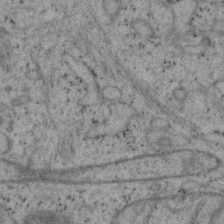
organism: Human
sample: HeLa cells